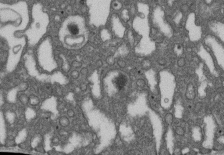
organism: Drosophila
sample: Nephrocyte